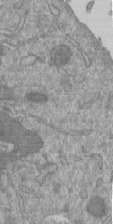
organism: Mouse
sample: ED-1 cell nuclei; centrioles